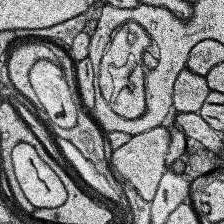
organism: Human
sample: Temporal Lobe